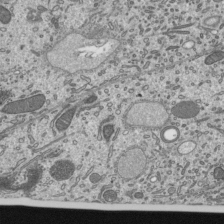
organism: Mouse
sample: Mouse epididymis efferent ductule cilia